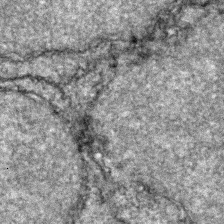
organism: Zebrafish